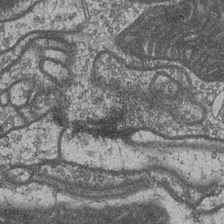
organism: Drosophila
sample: Optic medulla